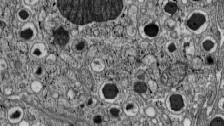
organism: C57BL Mouse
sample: Pancreatic islet